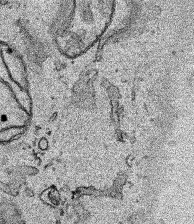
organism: Human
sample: Mitochondria in HCT116 cells